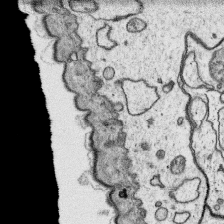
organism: Platynereis dumerilii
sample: Parapodia